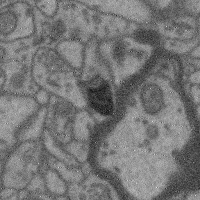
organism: Mouse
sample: Cerebral cortex